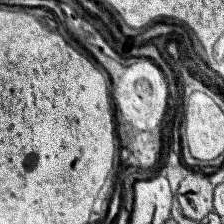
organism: Human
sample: Temporal Lobe